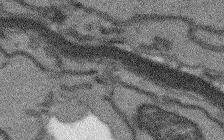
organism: Arabidopsis thaliana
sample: Root tip